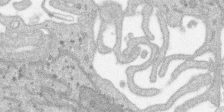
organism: Human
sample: Lung epithelial cells infected with SARS-CoV-2